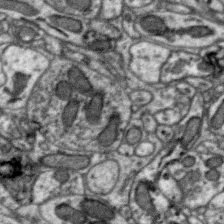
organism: Zebra finch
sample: Brain